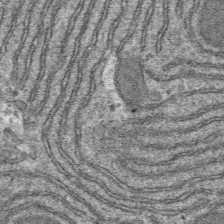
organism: Mouse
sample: Mouse hepatocytes